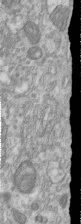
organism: Human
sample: Centriole in RPE cells